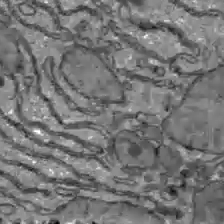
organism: C57BL Mouse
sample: Liver